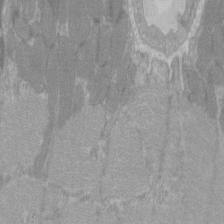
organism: C57BL Mouse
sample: Tibialis anterior muscle cell